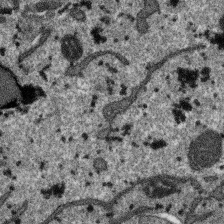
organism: Human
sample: Lung epithelial cells infected with SARS-CoV-2